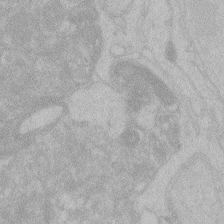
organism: Zebrafish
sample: Macrophage infected with Toxoplasma gondii